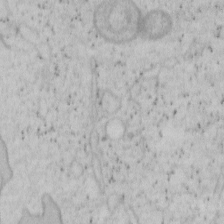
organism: Human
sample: HeLa cells